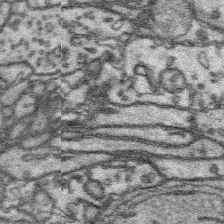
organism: Platynereis dumerilii